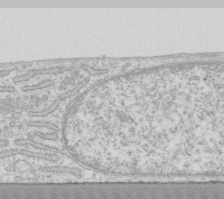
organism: Human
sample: Fibroblast cells